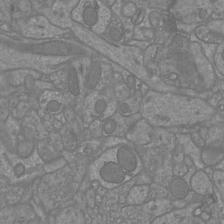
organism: Mouse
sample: Cortical neurons